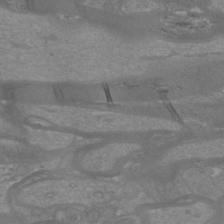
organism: Mouse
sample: Cortical neurons